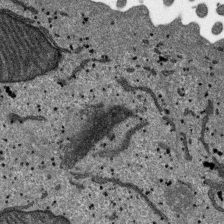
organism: Human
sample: Lung epithelial cells, uninfected (mock) control